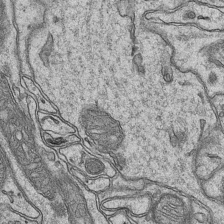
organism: Mouse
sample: CA1 Hippocampus